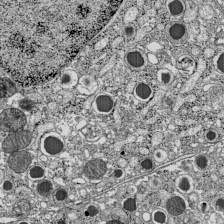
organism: C57BL Mouse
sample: Pancreatic islet